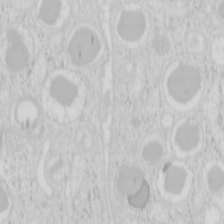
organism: Mouse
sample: Pancreas